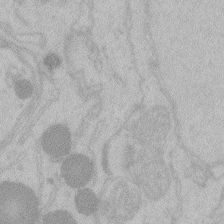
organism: Zebrafish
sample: Macrophage infected with Toxoplasma gondii